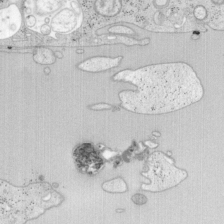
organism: Mouse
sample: OT-I killer T cells with ID8 ovarian cancer cells